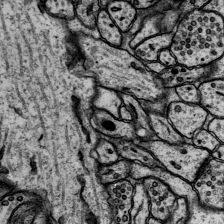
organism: Rat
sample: Hippocampus